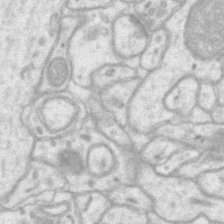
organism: Mouse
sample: CA1 Hippocampus